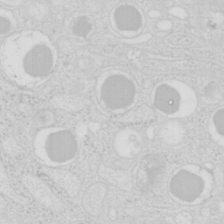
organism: Mouse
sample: Pancreas